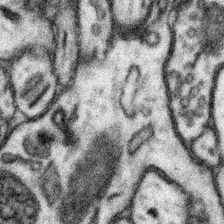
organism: Mouse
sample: Somatosensory cortex neuropil